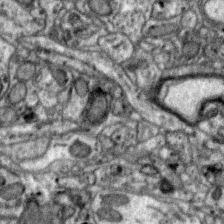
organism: Zebra finch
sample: Brain